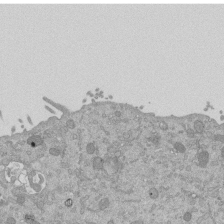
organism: Mouse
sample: ED-1 cell nuclei; centrioles